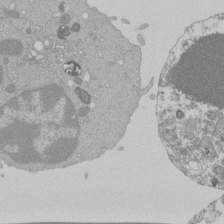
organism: Mouse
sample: Activated Pmel transgenic CD8+ T Cells